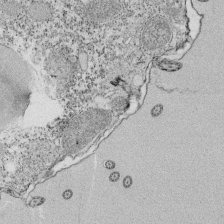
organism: Tetrahymena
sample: Cilia in tetrahymena